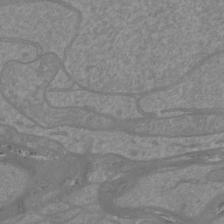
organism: Mouse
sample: Cortical neurons